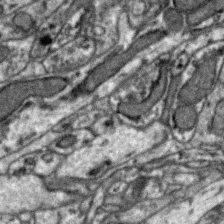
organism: Zebra finch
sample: Brain